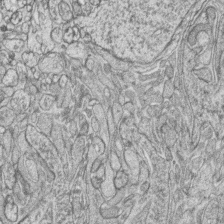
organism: Zebrafish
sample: synaptic ribbons in rod cells and cone cells